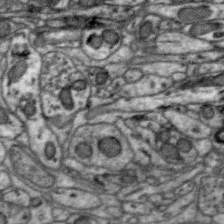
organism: Zebra finch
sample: Brain